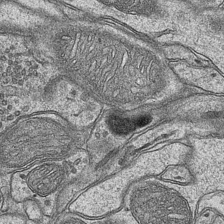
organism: Mouse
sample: CA1 Hippocampus